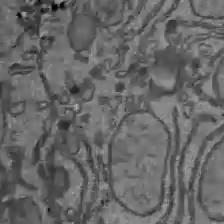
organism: C57BL Mouse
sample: Liver